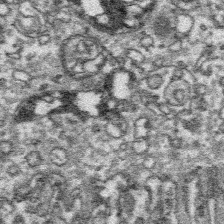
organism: Platynereis dumerilii